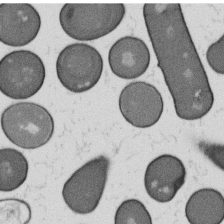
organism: B. subtilis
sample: Bacterial spore